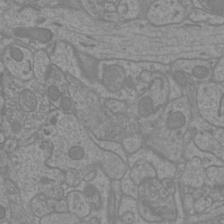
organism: Mouse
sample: Cortical neurons